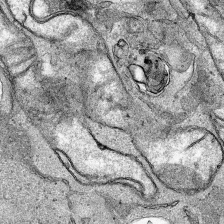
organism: Human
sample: Mitochondria in HCT116 cells